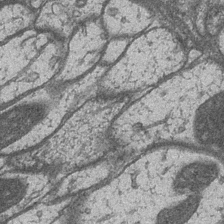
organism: Drosophila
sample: Optic medulla